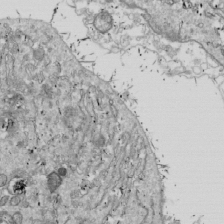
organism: Drosophila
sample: Cell division; meiosis; drosophila spermatocytes